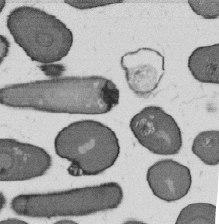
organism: B. subtilis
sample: Bacterial spore